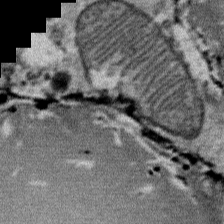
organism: Mouse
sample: Mouse Salivary gland